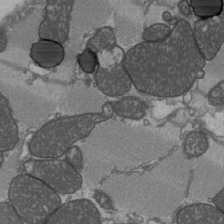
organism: C57BL Mouse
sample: Heart